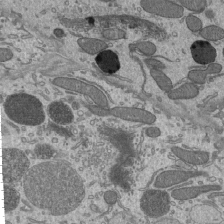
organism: Mouse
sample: Mouse epididymis efferent ductule cilia